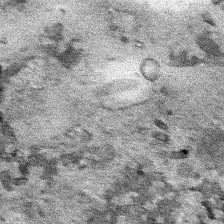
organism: Human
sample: Mitochondria in HCT116 cells